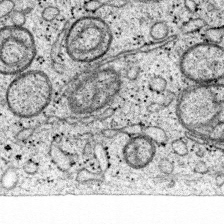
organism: Human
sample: HeLa cells